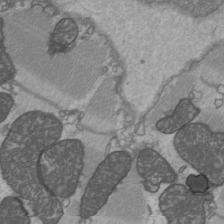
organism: C57BL Mouse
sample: Heart